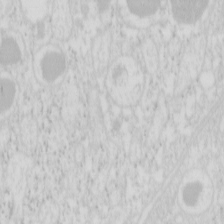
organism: Mouse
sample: Pancreas